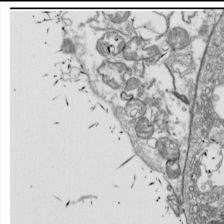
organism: Drosophila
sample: Cell division; meiosis; drosophila spermatocytes